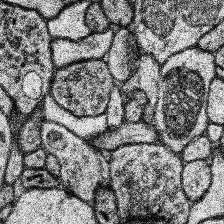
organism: Human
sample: Temporal Lobe